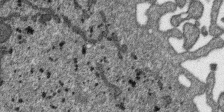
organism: Human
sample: Lung epithelial cells infected with SARS-CoV-2